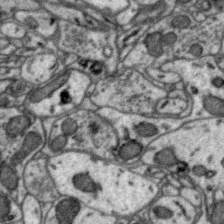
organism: Zebra finch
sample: Brain